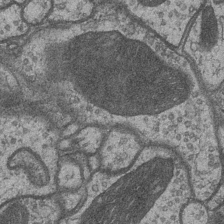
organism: Drosophila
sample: Optic medulla